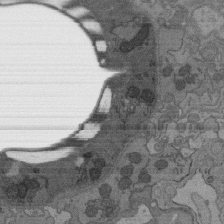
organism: C. elegans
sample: AFD neurons C. elegans